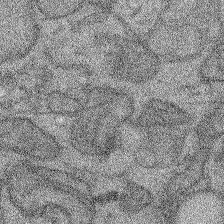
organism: Human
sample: HeLa cells